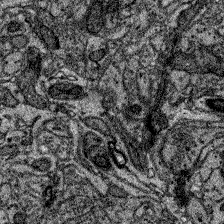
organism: Zebrafish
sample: Larval olfactory bulb